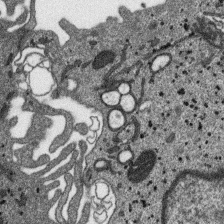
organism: Human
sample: Lung epithelial cells infected with SARS-CoV-2